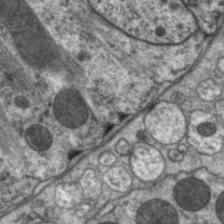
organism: C. elegans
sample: Pharynx